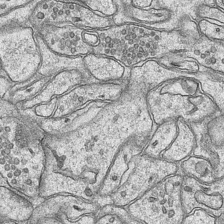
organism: Mouse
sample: CA1 Hippocampus